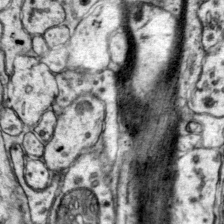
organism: Mouse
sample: Primary visual cortex